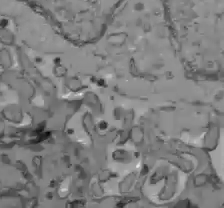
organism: C57BL Mouse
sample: Liver